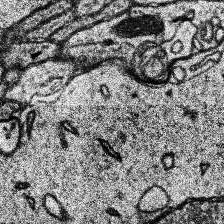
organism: Human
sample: Temporal Lobe